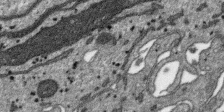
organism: Human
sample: Lung epithelial cells, uninfected (mock) control